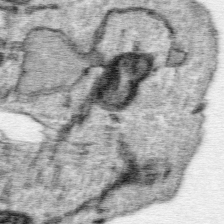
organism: Human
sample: HeLa cells